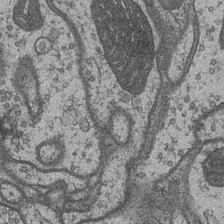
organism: Drosophila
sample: Optic medulla